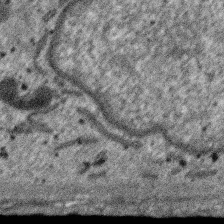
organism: Human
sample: Lung epithelial cells infected with SARS-CoV-2